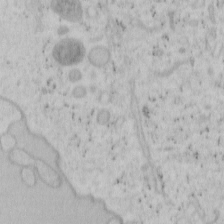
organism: Human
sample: HeLa cells